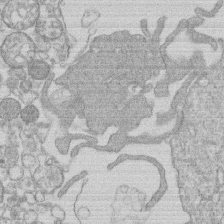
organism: Human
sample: Macrophage cells